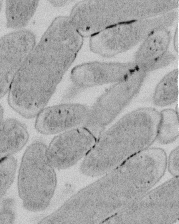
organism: E. coli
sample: Bacterial nucleoid